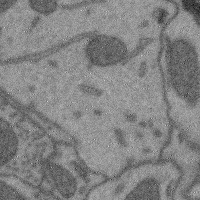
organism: Mouse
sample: Cerebral cortex